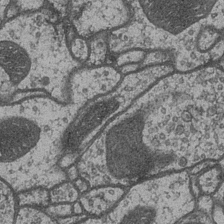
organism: Drosophila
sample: Optic medulla